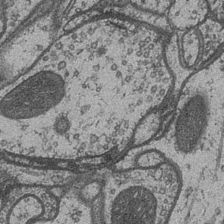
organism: Drosophila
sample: Optic medulla